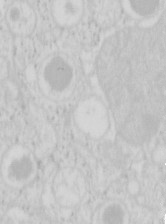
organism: Mouse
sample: Pancreas